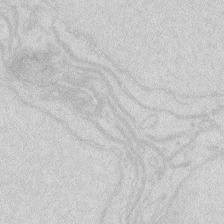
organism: Zebrafish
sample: Macrophage